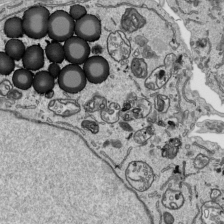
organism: Human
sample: Mitochondria in HCT116 cells